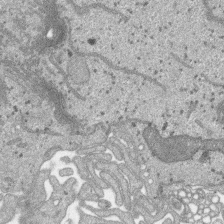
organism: Human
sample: Lung epithelial cells infected with SARS-CoV-2